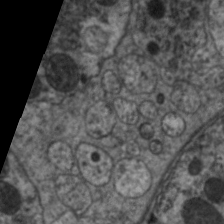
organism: C. elegans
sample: Pharynx